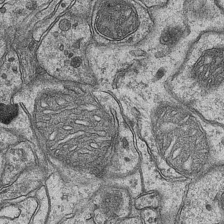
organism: Mouse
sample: CA1 Hippocampus